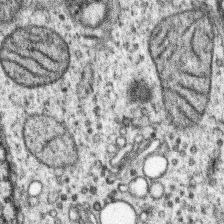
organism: Human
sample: HeLa cells